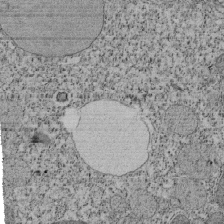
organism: Tetrahymena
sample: Cilia in tetrahymena